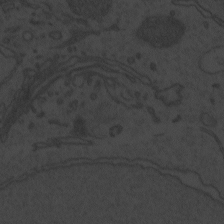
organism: Zebrafish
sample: Macrophage infected with Toxoplasma gondii